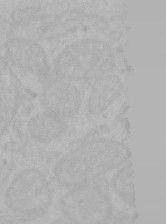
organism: Mouse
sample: Choroid plexus